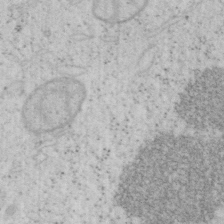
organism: Human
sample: HeLa cells